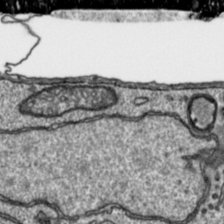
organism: Toxoplasma gondii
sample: Parasites in a vacuole inside a host cell